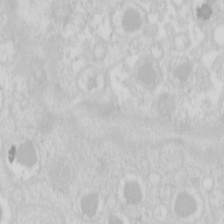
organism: Mouse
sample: Pancreas